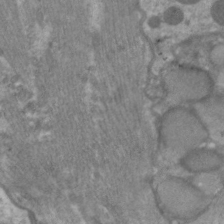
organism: C. elegans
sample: Pharynx